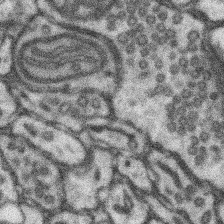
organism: Mouse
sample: Somatosensory cortex neuropil